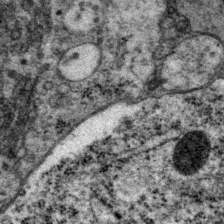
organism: P. pacificus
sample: Pharynx